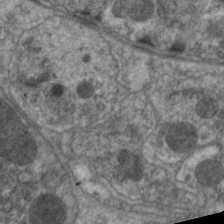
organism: C. elegans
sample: Pharynx